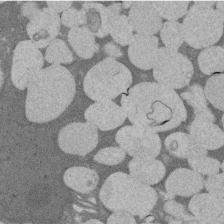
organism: Rat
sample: Salivary granule